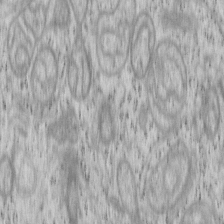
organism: Human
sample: HeLa cells